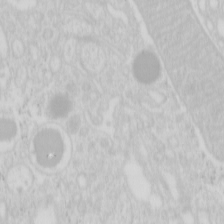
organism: Mouse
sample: Pancreas